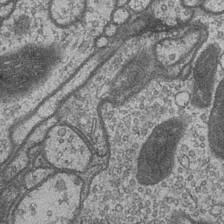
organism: Drosophila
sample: Optic medulla